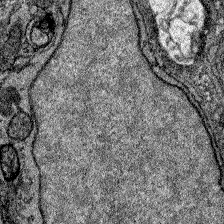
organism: Zebrafish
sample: Larval olfactory bulb